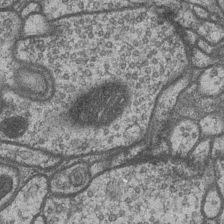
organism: Drosophila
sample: Optic medulla